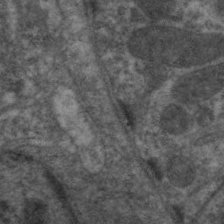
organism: C. elegans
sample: Pharynx